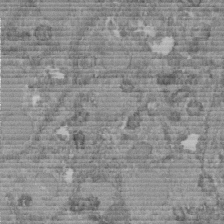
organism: C. elegans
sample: C. elegans embryo early stage